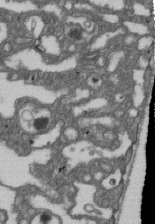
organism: Drosophila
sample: Nephrocyte